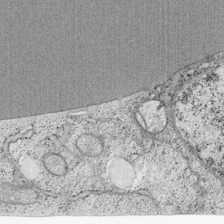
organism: African green monkey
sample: COS-7 cells